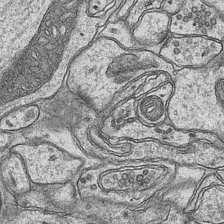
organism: Mouse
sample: CA1 Hippocampus